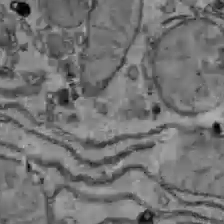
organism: C57BL Mouse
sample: Liver